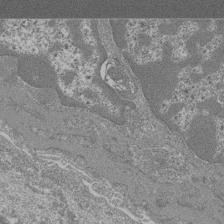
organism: Mouse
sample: Glomerulus